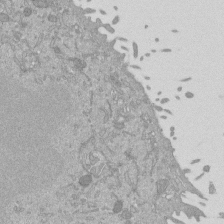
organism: Mouse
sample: ED-1 cell nuclei; centrioles